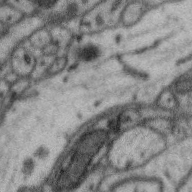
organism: Zebra finch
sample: Brain